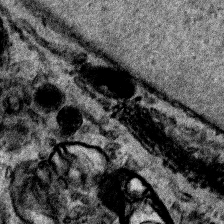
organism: Human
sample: Mitochondria in HCT116 cells